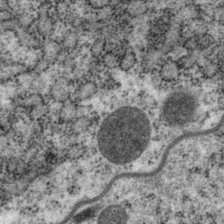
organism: P. pacificus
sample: Pharynx